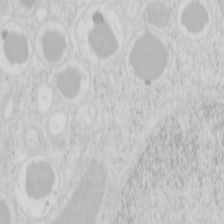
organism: Mouse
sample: Pancreas